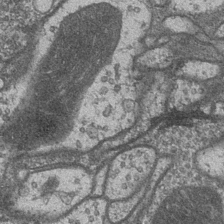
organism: Drosophila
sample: Optic medulla